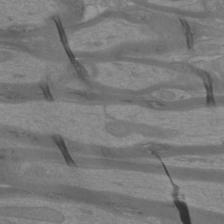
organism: Mouse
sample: Cortical neurons